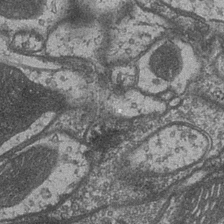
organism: Drosophila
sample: Optic medulla